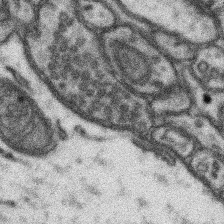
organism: Mouse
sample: Somatosensory cortex neuropil